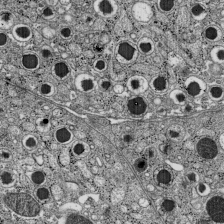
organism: C57BL Mouse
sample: Pancreatic islet